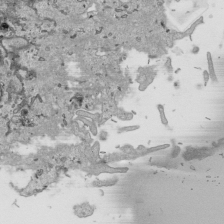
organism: Human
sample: Mitochondria in HCT116 cells